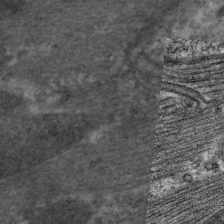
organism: C. elegans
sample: Pharynx